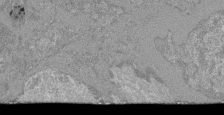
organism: Mouse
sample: Glomerulus